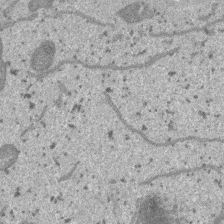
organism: Human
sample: Lung epithelial cells infected with SARS-CoV-2